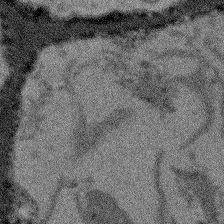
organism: Arabidopsis thaliana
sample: Root tip